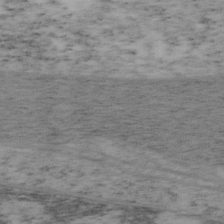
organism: Mouse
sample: OT-I killer T cells with ID8 ovarian cancer cells